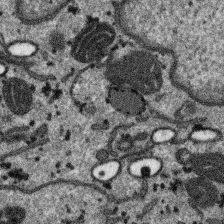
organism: Human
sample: Lung epithelial cells infected with SARS-CoV-2